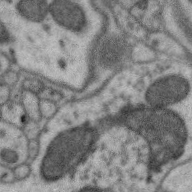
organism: Zebra finch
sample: Brain